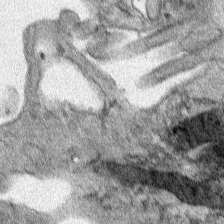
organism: Human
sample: Mitochondria in HCT116 cells